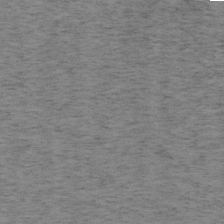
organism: Mouse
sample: OT-I killer T cells with ID8 ovarian cancer cells